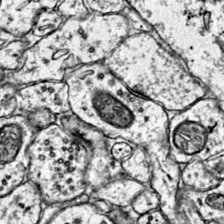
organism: Mouse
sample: Primary visual cortex